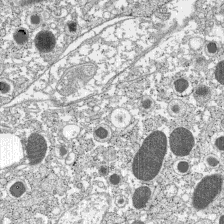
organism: C57BL Mouse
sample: Pancreatic islet